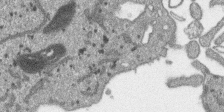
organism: Human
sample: Lung epithelial cells infected with SARS-CoV-2